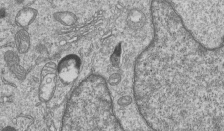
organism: Human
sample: MDA-MB-231 cells